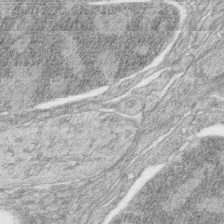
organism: Zebrafish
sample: synaptic ribbons in rod cells and cone cells